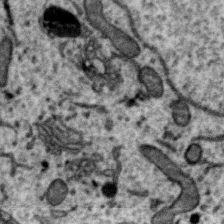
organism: Zebra finch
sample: Brain